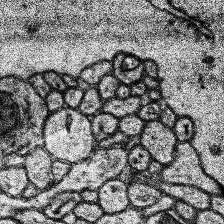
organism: Human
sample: Temporal Lobe